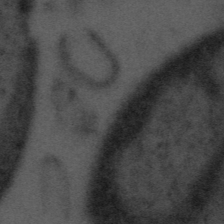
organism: Tuwongella immobilis